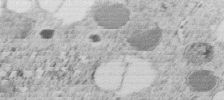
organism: C. elegans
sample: C. elegans embryo early stage